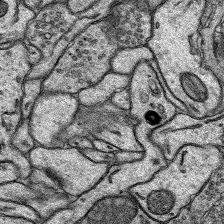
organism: Rat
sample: Hippocampus